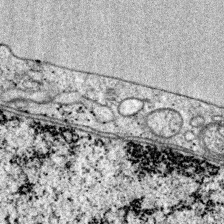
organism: Human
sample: HeLa cells